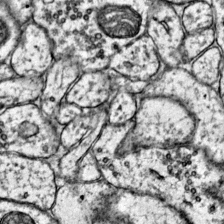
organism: Mouse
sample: Primary visual cortex